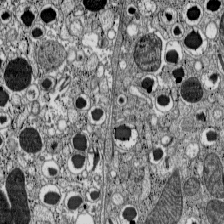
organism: C57BL Mouse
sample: Pancreatic islet